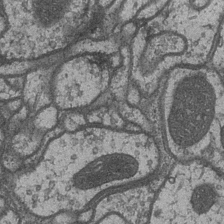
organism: Drosophila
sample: Optic medulla